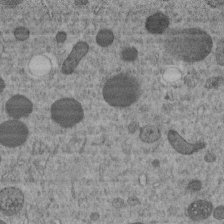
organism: C. elegans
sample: C. elegans embryo early stage